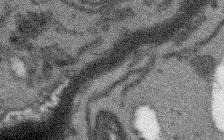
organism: Arabidopsis thaliana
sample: Root tip